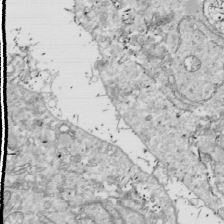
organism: Drosophila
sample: Cell division; meiosis; drosophila spermatocytes